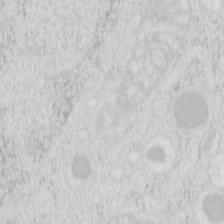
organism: Mouse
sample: Pancreas